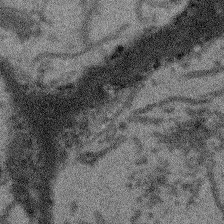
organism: Arabidopsis thaliana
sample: Root tip